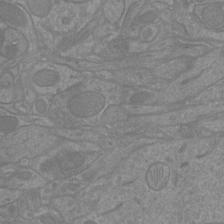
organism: Mouse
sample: Cortical neurons